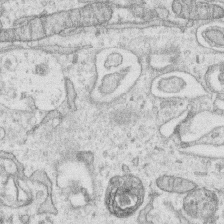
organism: Human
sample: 1205lu cells